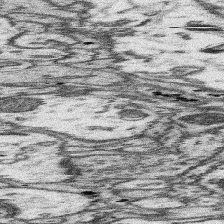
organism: Mouse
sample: Somatosensory cortex neuropil